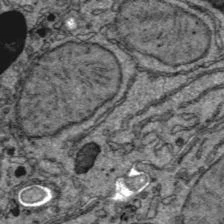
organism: C57BL Mouse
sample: Liver